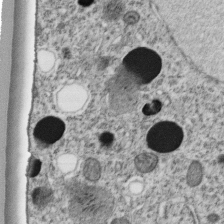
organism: C. elegans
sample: C. elegans embryo early stage